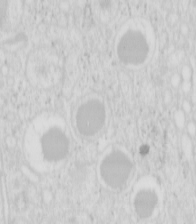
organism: Mouse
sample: Pancreas